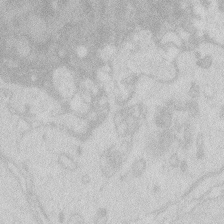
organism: Zebrafish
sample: Macrophage